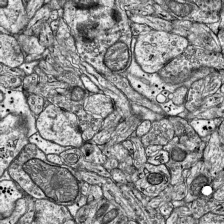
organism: Mouse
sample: Visual Cortex